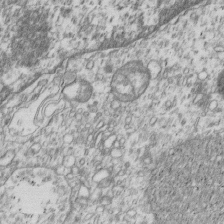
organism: Human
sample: MDA-MB-231 cells